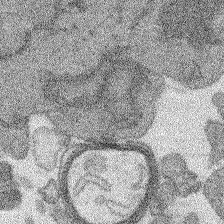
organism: Human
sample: HeLa cells